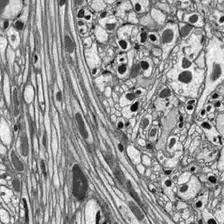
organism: Drosophila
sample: Optic lobe